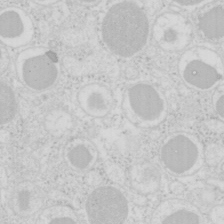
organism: Mouse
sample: Pancreas